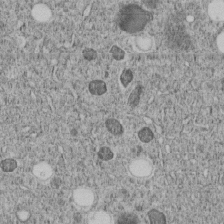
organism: C. elegans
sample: C. elegans embryo early stage